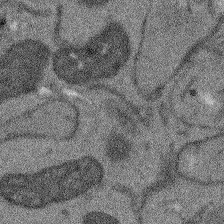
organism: Arabidopsis thaliana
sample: Root tip